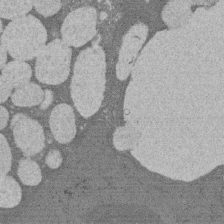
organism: Rat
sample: Salivary granule